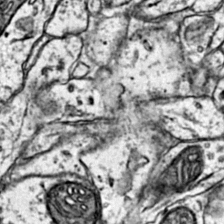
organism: Mouse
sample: Primary visual cortex